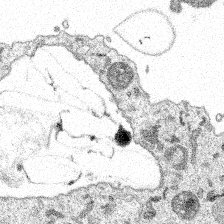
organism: Spongilla lacustris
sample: Multiple